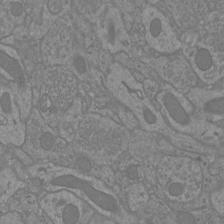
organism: Mouse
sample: Cortical neurons